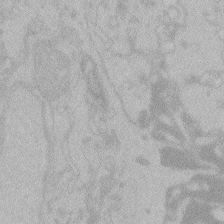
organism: Zebrafish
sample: Macrophage infected with Toxoplasma gondii